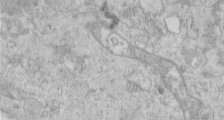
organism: Human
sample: Centriole in RPE cells